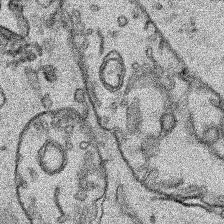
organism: Human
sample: Mitochondria in HCT116 cells